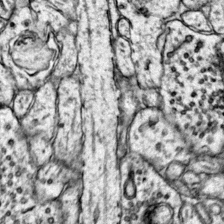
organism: Mouse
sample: Primary visual cortex